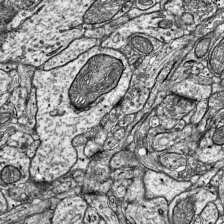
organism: Mouse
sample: Visual Cortex